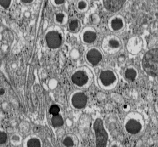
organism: C57BL Mouse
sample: Pancreatic islet